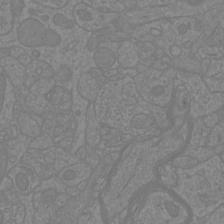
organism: Mouse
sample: Cortical neurons